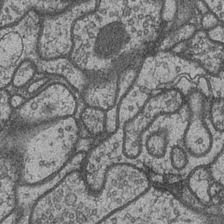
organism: Drosophila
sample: Optic medulla